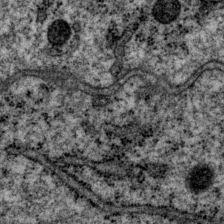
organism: P. pacificus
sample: Pharynx